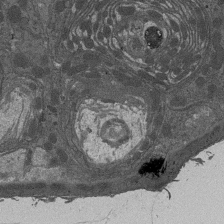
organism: Drosophila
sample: Antenna